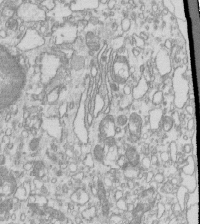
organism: Mouse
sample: Macrophages